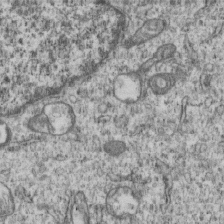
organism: Human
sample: MDA-MB-231 cells